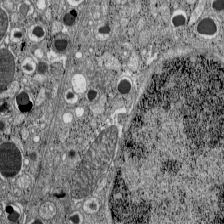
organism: C57BL Mouse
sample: Pancreatic islet